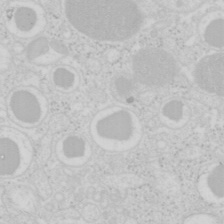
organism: Mouse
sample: Pancreas